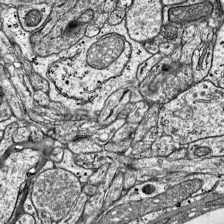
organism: Mouse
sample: Visual Cortex